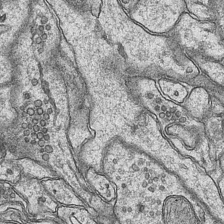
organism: Mouse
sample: CA1 Hippocampus